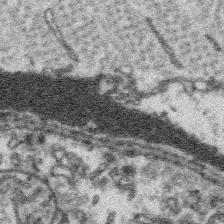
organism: Platynereis dumerilii